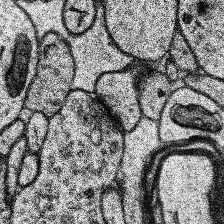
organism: Human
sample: Temporal Lobe